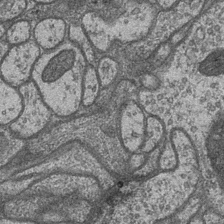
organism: Drosophila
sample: Optic medulla